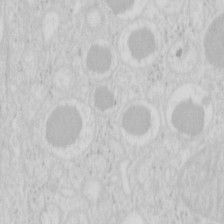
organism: Mouse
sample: Pancreas